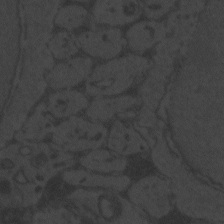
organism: Zebrafish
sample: Macrophage infected with Toxoplasma gondii